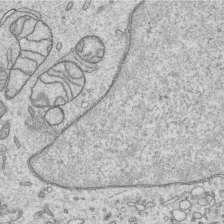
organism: Human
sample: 1205lu cells